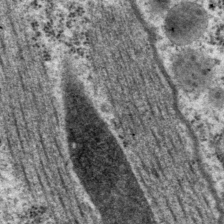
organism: P. pacificus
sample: Pharynx